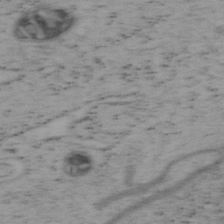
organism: Mouse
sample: OT-I killer T cells with ID8 ovarian cancer cells